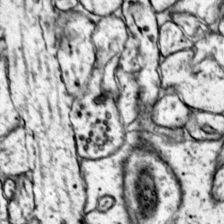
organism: Mouse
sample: Primary visual cortex